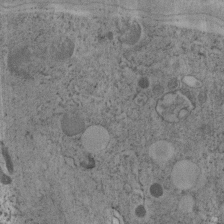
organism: C. elegans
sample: C. elegans embryo early stage